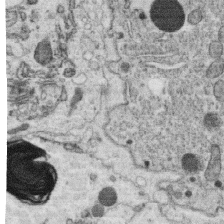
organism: C. elegans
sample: C. elegans oocyte; sperm cells